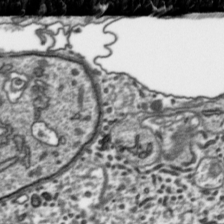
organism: Toxoplasma gondii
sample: Parasites in a vacuole inside a host cell